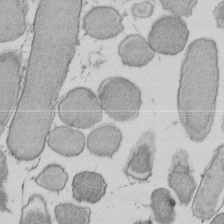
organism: E. coli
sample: Bacterial nucleoid